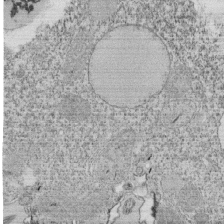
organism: Tetrahymena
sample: Cilia in tetrahymena